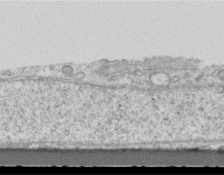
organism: Mouse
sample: Centriole in ependymal cells